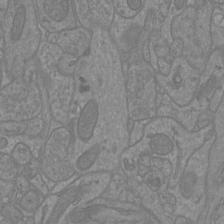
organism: Mouse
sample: Cortical neurons